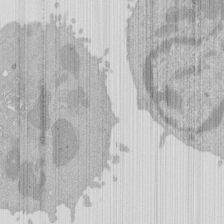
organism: Mouse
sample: Activated Pmel transgenic CD8+ T Cells